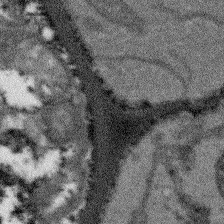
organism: Arabidopsis thaliana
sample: Root tip